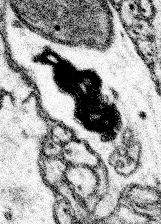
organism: Mouse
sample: Somatosensory cortex neuropil